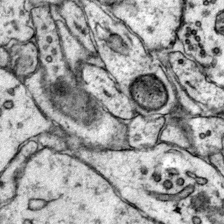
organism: Mouse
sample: Primary visual cortex